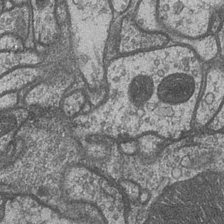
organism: Drosophila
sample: Optic medulla